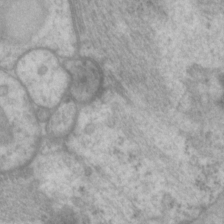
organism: P. pacificus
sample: Pharynx